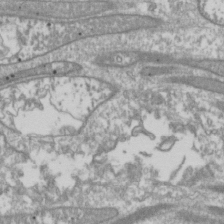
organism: Drosophila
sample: Cell division; meiosis; drosophila spermatocytes